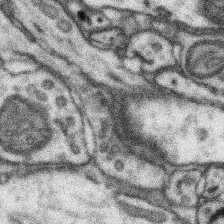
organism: Mouse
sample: Somatosensory cortex neuropil